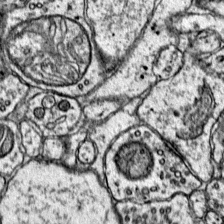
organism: Mouse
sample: Primary visual cortex